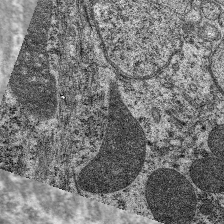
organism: C. elegans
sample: Pharynx